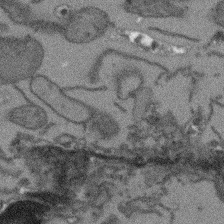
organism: Arabidopsis thaliana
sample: Root tip